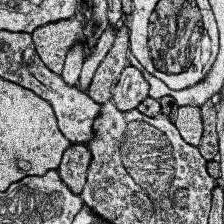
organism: Human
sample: Temporal Lobe